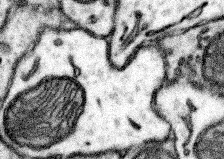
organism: Mouse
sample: Somatosensory cortex neuropil